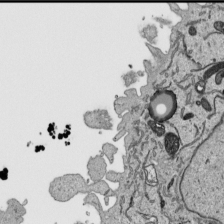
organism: Human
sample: Mitochondria in HCT116 cells